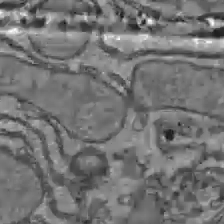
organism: C57BL Mouse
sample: Liver